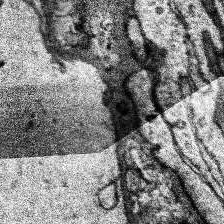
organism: Human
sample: Temporal Lobe